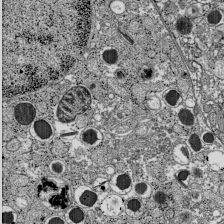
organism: C57BL Mouse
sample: Pancreatic islet